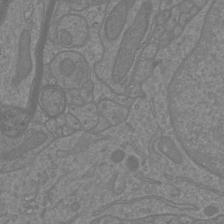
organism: Mouse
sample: Cortical neurons